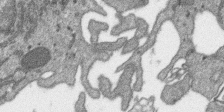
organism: Human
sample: Lung epithelial cells infected with SARS-CoV-2